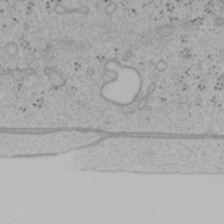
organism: Human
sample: HeLa cells